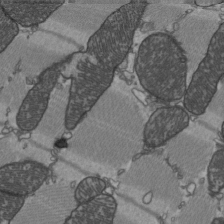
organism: C57BL Mouse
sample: Heart